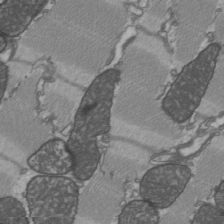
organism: C57BL Mouse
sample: Heart